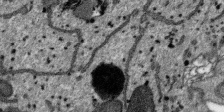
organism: Human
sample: Lung epithelial cells, uninfected (mock) control